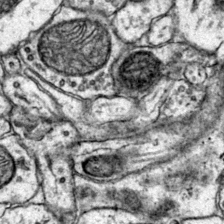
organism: Mouse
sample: Primary visual cortex